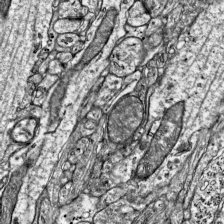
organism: Mouse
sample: Visual Cortex